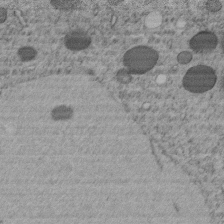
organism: C. elegans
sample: C. elegans embryo early stage